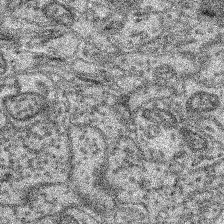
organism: Mouse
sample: Retina